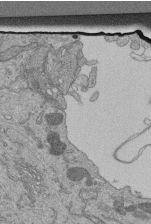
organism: Human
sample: Retinal organoid Rod and Cone cells